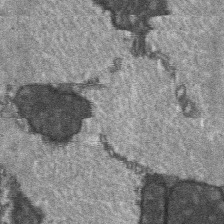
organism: C57BL Mouse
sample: Soleus